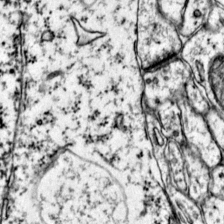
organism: Mouse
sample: Primary visual cortex